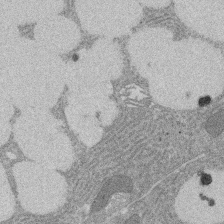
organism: Rat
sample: Salivary granule